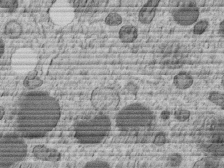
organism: C. elegans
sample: C. elegans embryo early stage